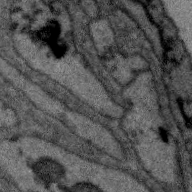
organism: Zebra finch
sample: Brain